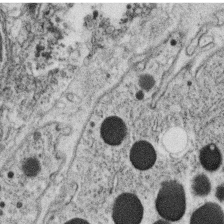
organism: C. elegans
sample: C. elegans oocyte; sperm cells